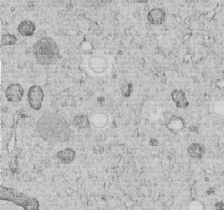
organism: C. elegans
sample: C. elegans embryo early stage